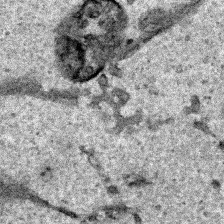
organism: Human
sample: Mitochondria in HCT116 cells